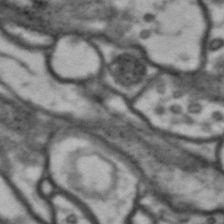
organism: Drosophila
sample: Brain